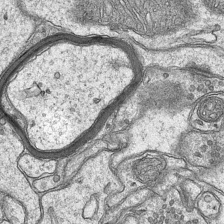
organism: Mouse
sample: CA1 Hippocampus